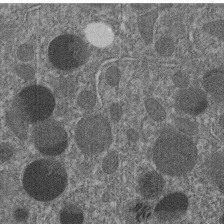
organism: C. elegans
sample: C. elegans embryo early stage